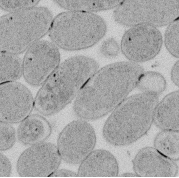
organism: E. coli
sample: Bacterial nucleoid